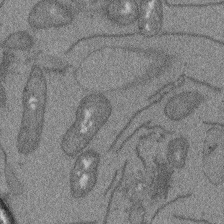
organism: Arabidopsis thaliana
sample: Root tip